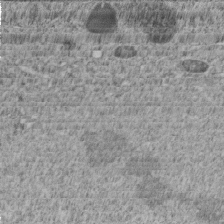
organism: C. elegans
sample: C. elegans embryo early stage